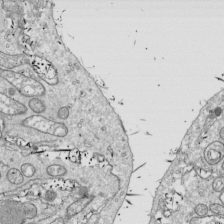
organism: Drosophila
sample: Cell division; meiosis; drosophila spermatocytes